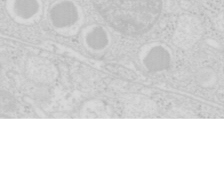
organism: Mouse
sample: Pancreas